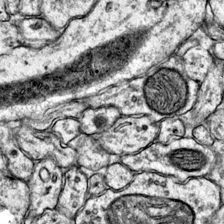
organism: Mouse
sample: Primary visual cortex